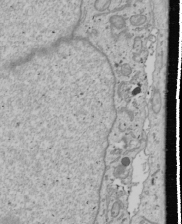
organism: Human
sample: Mitochondria in U2OS cells